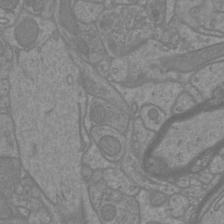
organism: Mouse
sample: Cortical neurons